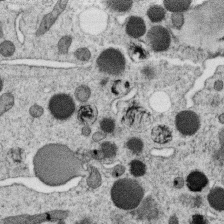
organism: C. elegans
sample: C. elegans oocyte; sperm cells